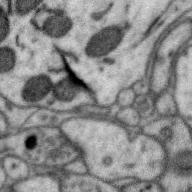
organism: Zebra finch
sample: Brain